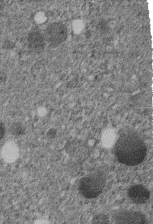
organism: C. elegans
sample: C. elegans embryo early stage